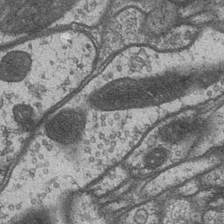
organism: Drosophila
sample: Optic medulla